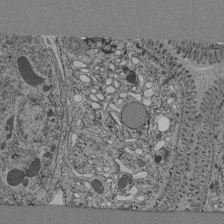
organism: C. elegans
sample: C. elegans pharynx